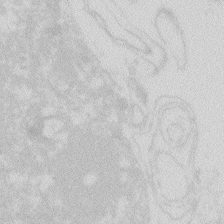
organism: Zebrafish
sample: Macrophage